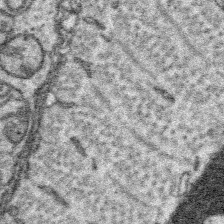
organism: Platynereis dumerilii